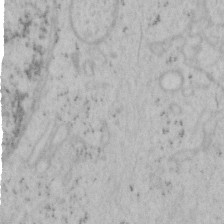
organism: Human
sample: HeLa cells